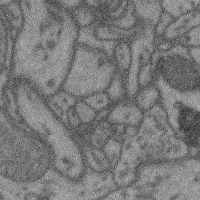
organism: Mouse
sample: Cerebral cortex